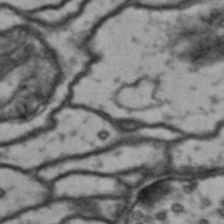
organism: Drosophila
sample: Brain